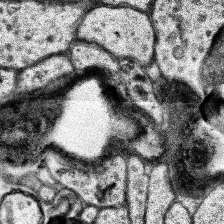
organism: Human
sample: Temporal Lobe